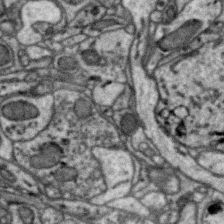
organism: Zebra finch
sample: Brain